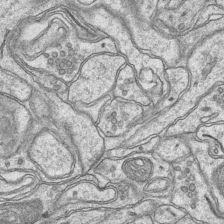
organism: Mouse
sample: CA1 Hippocampus